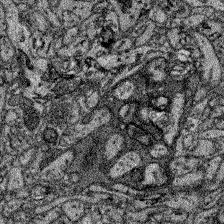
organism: Zebrafish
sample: Larval olfactory bulb